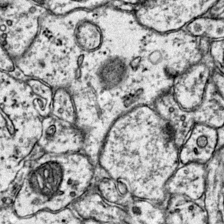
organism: Mouse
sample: Primary visual cortex